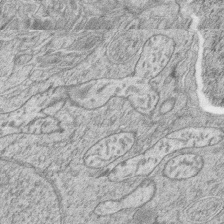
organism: Zebrafish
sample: synaptic ribbons in rod cells and cone cells